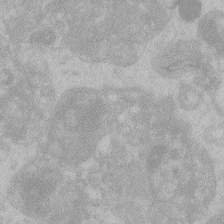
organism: Zebrafish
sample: Macrophage infected with Toxoplasma gondii